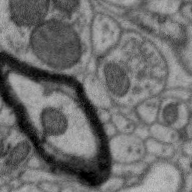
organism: Zebra finch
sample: Brain